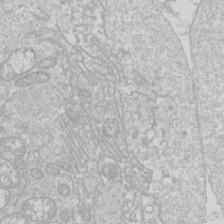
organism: Drosophila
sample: Cell division; meiosis; drosophila spermatocytes